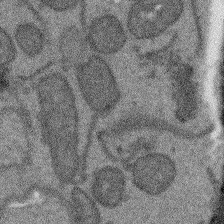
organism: Arabidopsis thaliana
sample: Root tip